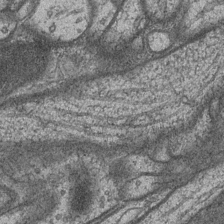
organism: Drosophila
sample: Optic medulla